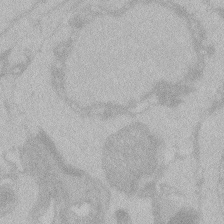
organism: Zebrafish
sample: Macrophage infected with Toxoplasma gondii